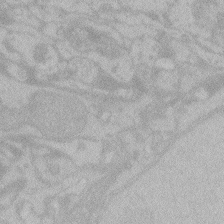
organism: Zebrafish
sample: Macrophage infected with Toxoplasma gondii